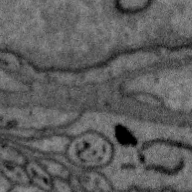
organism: Zebra finch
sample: Brain